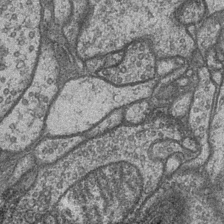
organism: Drosophila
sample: Optic medulla